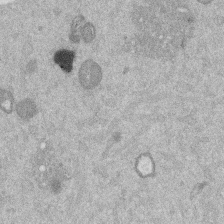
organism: Mouse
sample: Dividing mouse embryo 1 cell stage